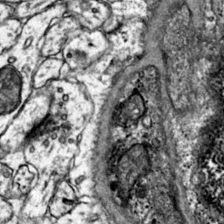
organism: Mouse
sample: Primary visual cortex